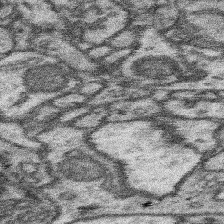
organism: Mouse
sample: Somatosensory cortex neuropil